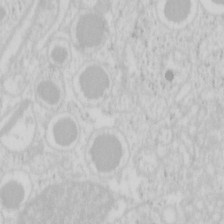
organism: Mouse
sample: Pancreas